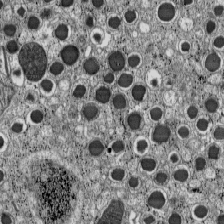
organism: C57BL Mouse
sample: Pancreatic islet